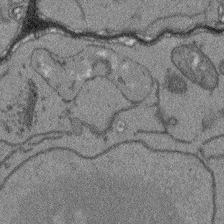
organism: Arabidopsis thaliana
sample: Root tip